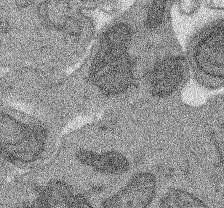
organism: Human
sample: HeLa cells